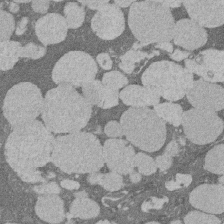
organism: Rat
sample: Salivary granule